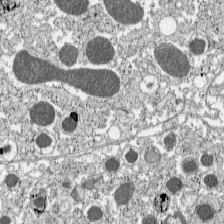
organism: C57BL Mouse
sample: Pancreatic islet